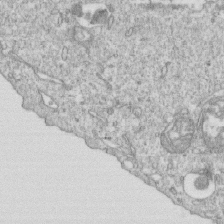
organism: Mouse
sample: Activated OT-1 CD8+ T cells